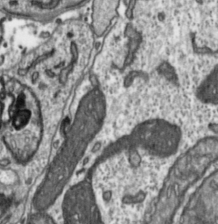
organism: Toxoplasma gondii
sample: Parasites in a vacuole inside a host cell